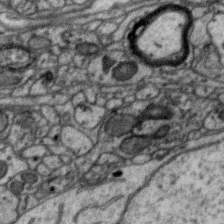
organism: Zebra finch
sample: Brain